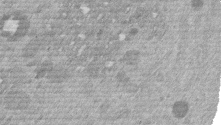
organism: Mouse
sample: Dividing mouse embryo 1 cell stage